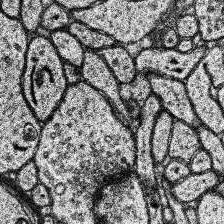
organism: Human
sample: Temporal Lobe